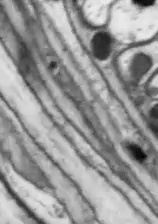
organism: Drosophila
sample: Optic lobe